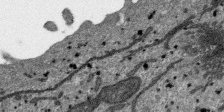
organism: Human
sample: Lung epithelial cells, uninfected (mock) control